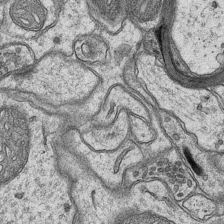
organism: Mouse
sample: CA1 Hippocampus